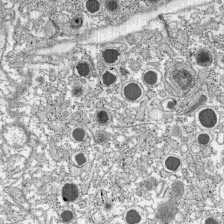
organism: C57BL Mouse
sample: Pancreatic islet